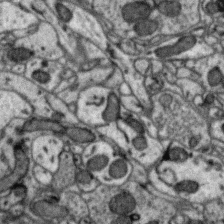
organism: Zebra finch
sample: Brain